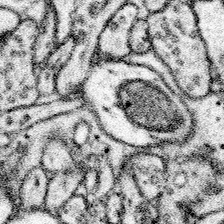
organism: Mouse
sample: Somatosensory cortex neuropil